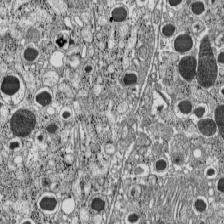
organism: C57BL Mouse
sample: Pancreatic islet